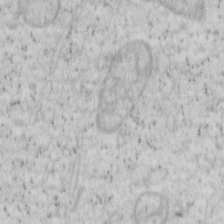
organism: Human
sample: HeLa cells